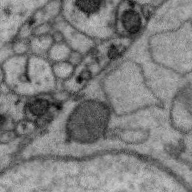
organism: Zebra finch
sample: Brain